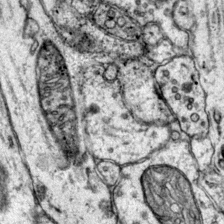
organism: Mouse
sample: Primary visual cortex